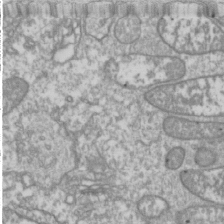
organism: Drosophila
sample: Cell division; meiosis; drosophila spermatocytes